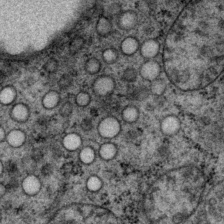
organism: P. pacificus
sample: Pharynx